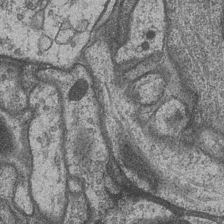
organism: Drosophila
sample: Optic medulla